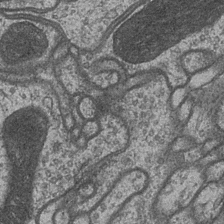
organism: Drosophila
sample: Optic medulla